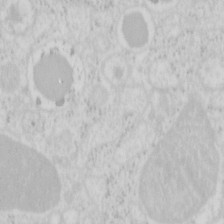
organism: Mouse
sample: Pancreas